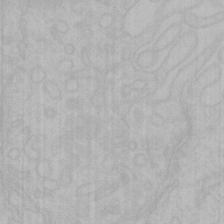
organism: Mouse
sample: Choroid plexus